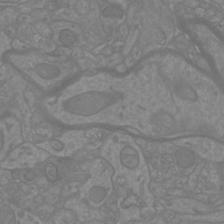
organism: Mouse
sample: Cortical neurons